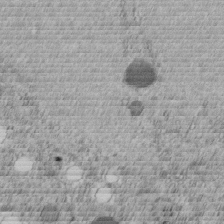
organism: C. elegans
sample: C. elegans embryo early stage